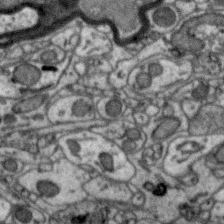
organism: Zebra finch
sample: Brain